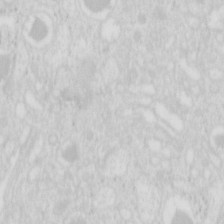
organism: Mouse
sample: Pancreas